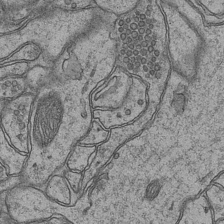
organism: Mouse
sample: CA1 Hippocampus